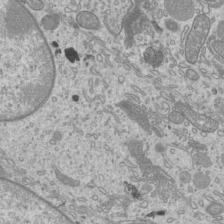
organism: Mouse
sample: Cilia; mouse epididymis